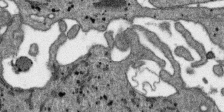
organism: Human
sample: Lung epithelial cells, uninfected (mock) control